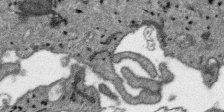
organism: Human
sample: Lung epithelial cells, uninfected (mock) control